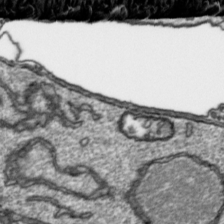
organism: Toxoplasma gondii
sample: Parasites in a vacuole inside a host cell